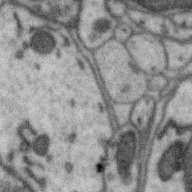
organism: Zebra finch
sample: Brain